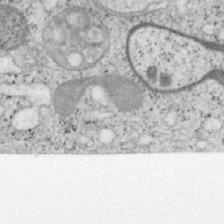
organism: Mouse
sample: OT-I killer T cells with ID8 ovarian cancer cells